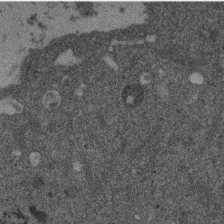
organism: Mouse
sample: Dividing mouse embryo 1 cell stage